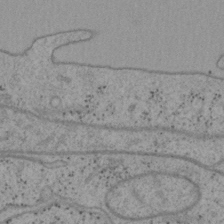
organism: Human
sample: HeLa cells